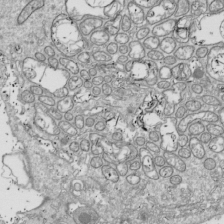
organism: Drosophila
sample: Cell division; meiosis; drosophila spermatocytes